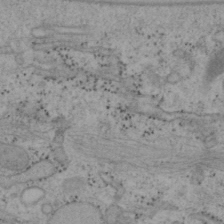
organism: Human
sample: HeLa cells